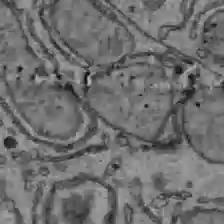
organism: C57BL Mouse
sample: Liver